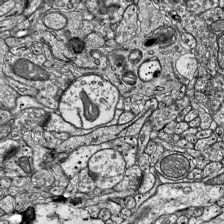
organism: Mouse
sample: Visual Cortex